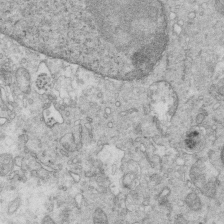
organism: Mouse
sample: Multiciliated cells